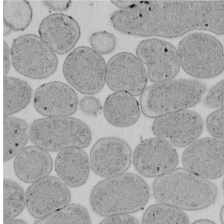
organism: E. coli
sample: Bacterial nucleoid